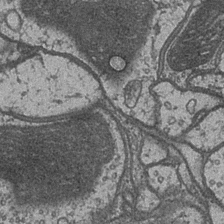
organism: Drosophila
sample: Optic medulla